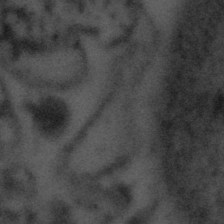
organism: Tuwongella immobilis